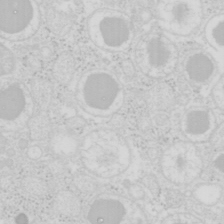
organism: Mouse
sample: Pancreas